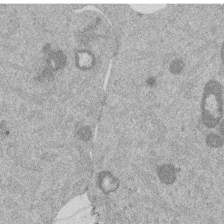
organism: Mouse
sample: Dividing mouse embryo 1 cell stage